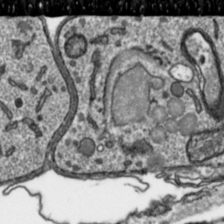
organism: Toxoplasma gondii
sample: Parasites in a vacuole inside a host cell